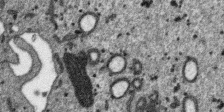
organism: Human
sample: Lung epithelial cells infected with SARS-CoV-2